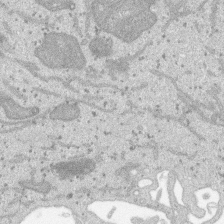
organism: Human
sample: Lung epithelial cells infected with SARS-CoV-2